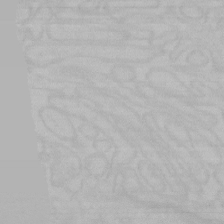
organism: Mouse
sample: Choroid plexus